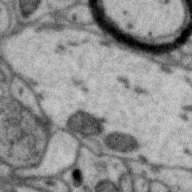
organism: Zebra finch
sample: Brain